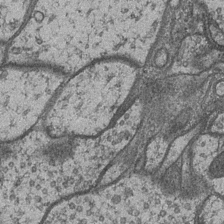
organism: Drosophila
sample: Optic medulla